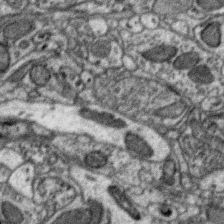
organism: Zebra finch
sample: Brain